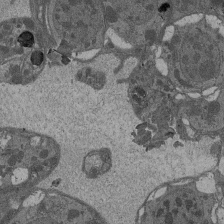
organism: Drosophila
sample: Antenna